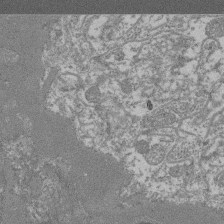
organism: Mouse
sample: Glomerulus